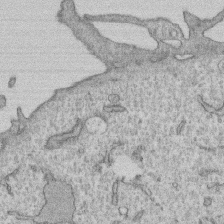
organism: Human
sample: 1205lu cells